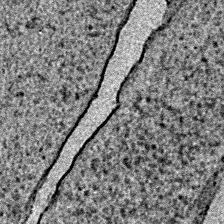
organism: E. coli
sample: E. Coli Bacteria